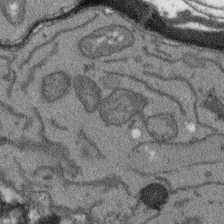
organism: Arabidopsis thaliana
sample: Root tip